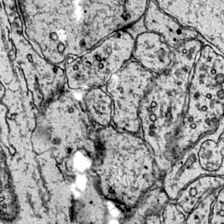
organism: Mouse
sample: Primary visual cortex